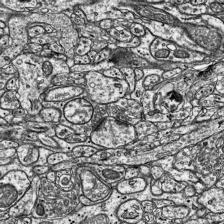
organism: Mouse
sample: Visual Cortex